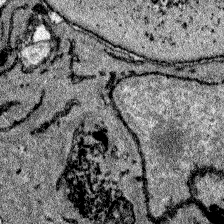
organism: Zebrafish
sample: Larval olfactory bulb